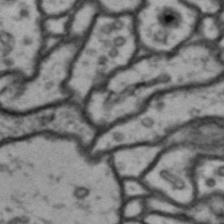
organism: Drosophila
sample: Brain